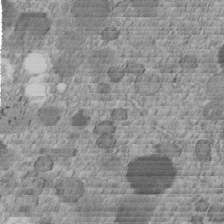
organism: C. elegans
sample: C. elegans embryo early stage